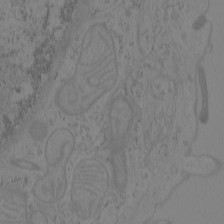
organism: Human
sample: HeLa cells